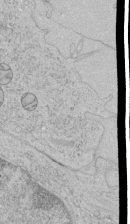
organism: Human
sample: Mitochondria in HCT116 cells